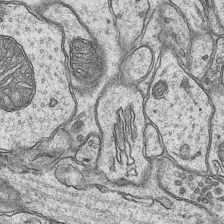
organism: Mouse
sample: CA1 Hippocampus